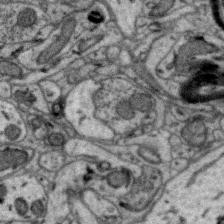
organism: Zebra finch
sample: Brain